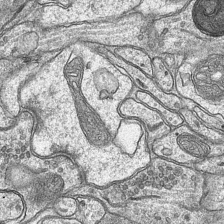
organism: Mouse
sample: CA1 Hippocampus